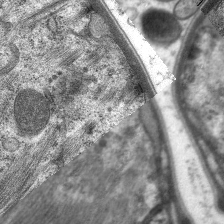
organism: C. elegans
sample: Pharynx